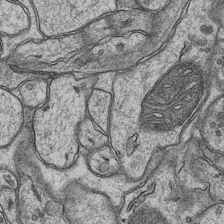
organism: Mouse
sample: CA1 Hippocampus